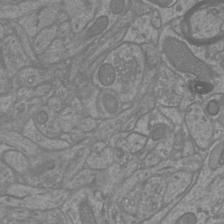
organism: Mouse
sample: Cortical neurons